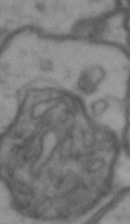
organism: Drosophila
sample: Brain